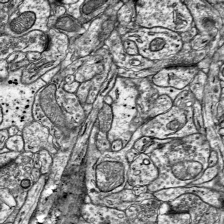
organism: Mouse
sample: Visual Cortex